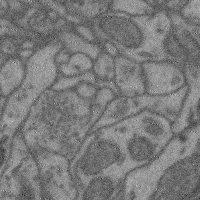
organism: Mouse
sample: Cerebral cortex